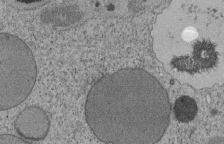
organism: Tetrahymena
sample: Cilia in tetrahymena